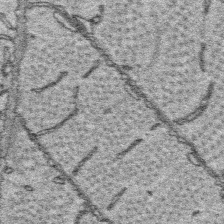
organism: Platynereis dumerilii